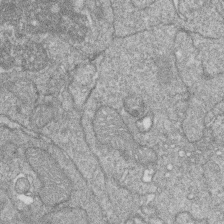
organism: Zebrafish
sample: Cilia; retinal pigment epithelium